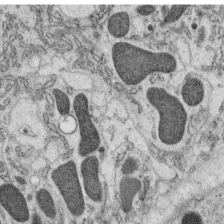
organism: C. elegans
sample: C. elegans oocyte; sperm cells